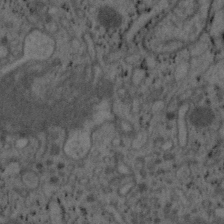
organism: Human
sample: HeLa cells